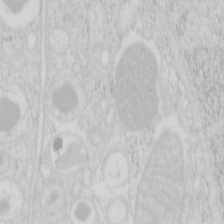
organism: Mouse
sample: Pancreas